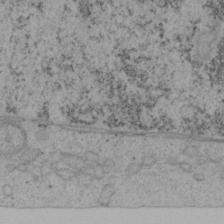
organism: Human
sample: HeLa cells